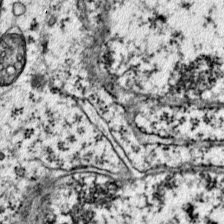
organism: Mouse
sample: Primary visual cortex